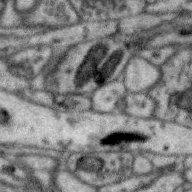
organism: Zebra finch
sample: Brain